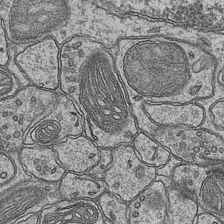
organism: Mouse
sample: CA1 Hippocampus